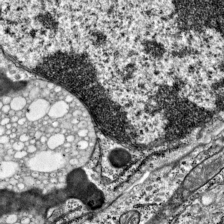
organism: Mouse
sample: Visual Cortex